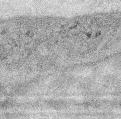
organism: Mouse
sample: Corneal nerves